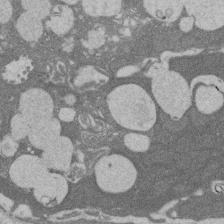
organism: Rat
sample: Salivary granule